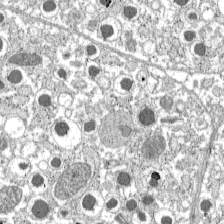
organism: C57BL Mouse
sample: Pancreatic islet